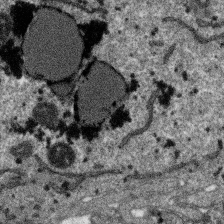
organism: Human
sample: Lung epithelial cells infected with SARS-CoV-2